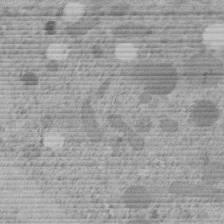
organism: C. elegans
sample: C. elegans embryo early stage